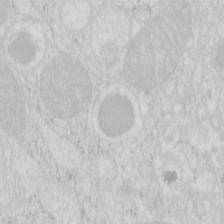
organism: Mouse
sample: Pancreas